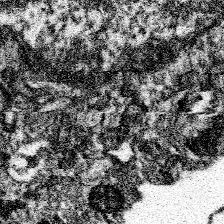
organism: Spongilla lacustris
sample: Neuroid cell